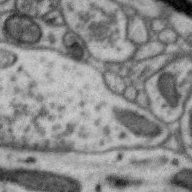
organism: Zebra finch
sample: Brain